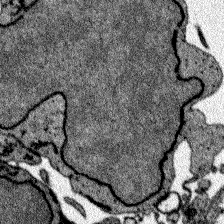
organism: Zebrafish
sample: Larval olfactory bulb